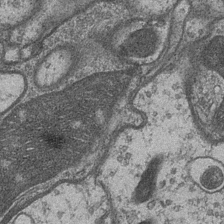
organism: Drosophila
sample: Optic medulla